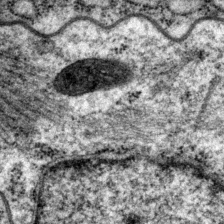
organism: P. pacificus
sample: Pharynx